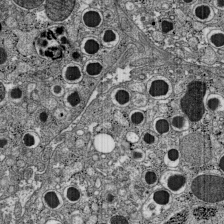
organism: C57BL Mouse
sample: Pancreatic islet